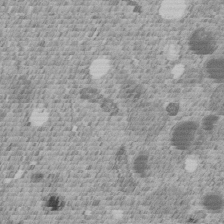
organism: C. elegans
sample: C. elegans embryo early stage